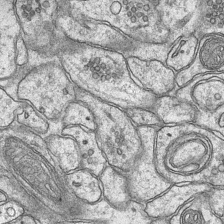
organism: Mouse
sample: CA1 Hippocampus